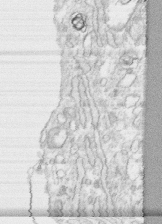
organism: Human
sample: CRL-1474